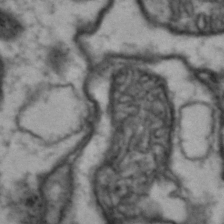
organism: Drosophila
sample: Brain